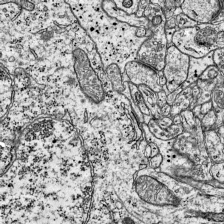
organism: Mouse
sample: Visual Cortex